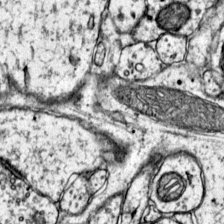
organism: Mouse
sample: Primary visual cortex